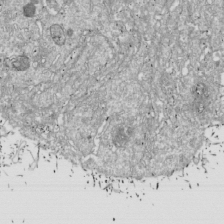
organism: Drosophila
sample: Cell division; meiosis; drosophila spermatocytes